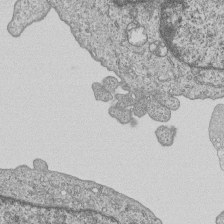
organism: Human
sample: MDA-MB-231 cells